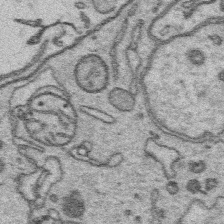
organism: Platynereis dumerilii